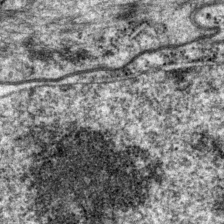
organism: P. pacificus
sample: Pharynx